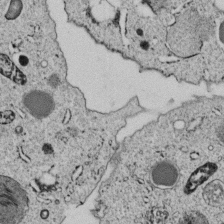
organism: C. elegans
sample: C. elegans embryo early stage